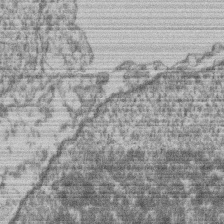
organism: Mouse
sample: T cell stromal cell synapse